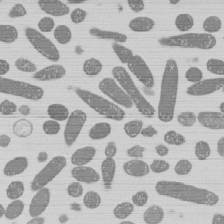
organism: E. coli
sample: Bacterial nucleoid